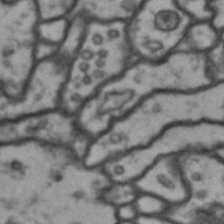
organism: Drosophila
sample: Brain